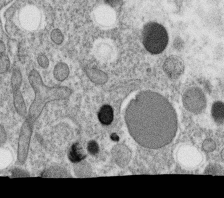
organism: C. elegans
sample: C. elegans oocyte; sperm cells